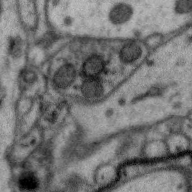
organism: Zebra finch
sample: Brain